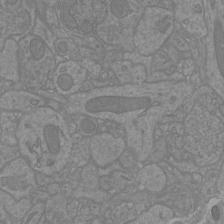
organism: Mouse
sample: Cortical neurons